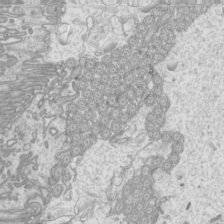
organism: Mouse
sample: Cilia; mouse epididymis